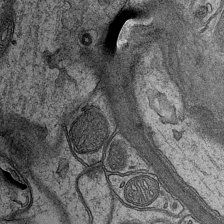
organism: Mouse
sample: CA1 Hippocampus